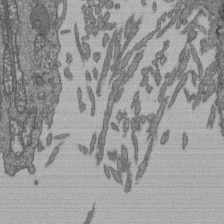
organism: Human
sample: Retinal organoid Rod and Cone cells